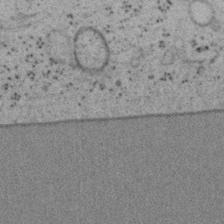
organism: Human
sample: HeLa cells